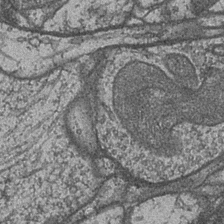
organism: Drosophila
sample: Optic medulla